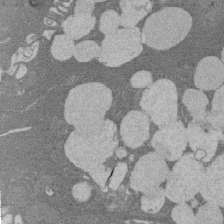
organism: Rat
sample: Salivary granule